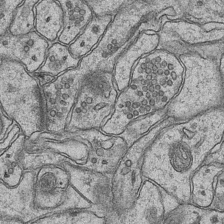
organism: Mouse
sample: CA1 Hippocampus